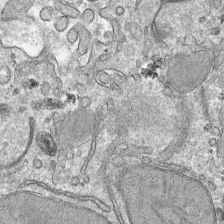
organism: Mouse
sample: Mouse hepatocytes